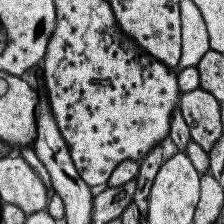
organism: Human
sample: Temporal Lobe